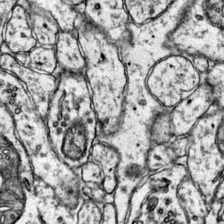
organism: Mouse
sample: Primary visual cortex